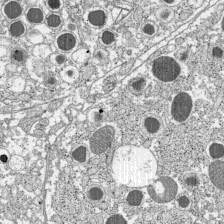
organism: C57BL Mouse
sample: Pancreatic islet